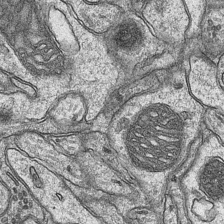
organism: Mouse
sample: CA1 Hippocampus